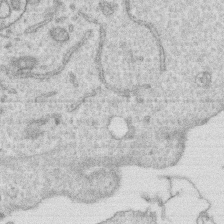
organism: Human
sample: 1205lu cells